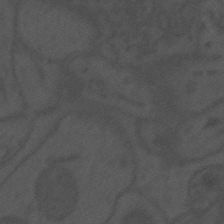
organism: Mouse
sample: Suprachiasmatic nucleus